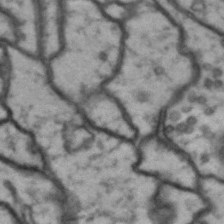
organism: Drosophila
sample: Brain